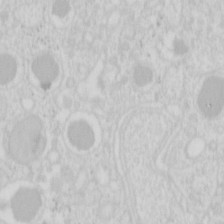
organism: Mouse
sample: Pancreas